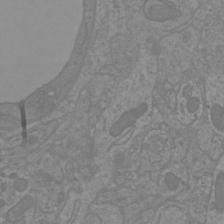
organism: Mouse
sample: Cortical neurons